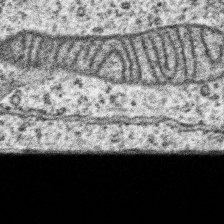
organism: Human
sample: HeLa cells